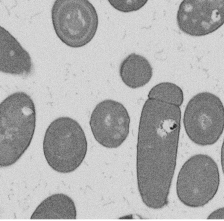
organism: B. subtilis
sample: Bacterial spore